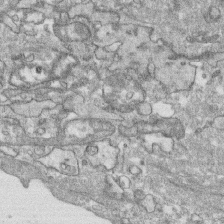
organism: Human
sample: CRL-1474